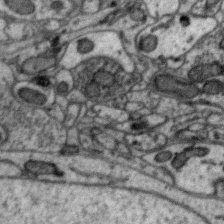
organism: Zebra finch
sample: Brain